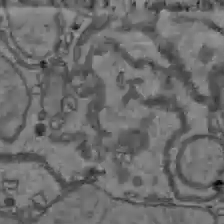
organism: C57BL Mouse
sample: Liver